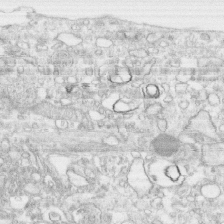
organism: Human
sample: CRL-1474